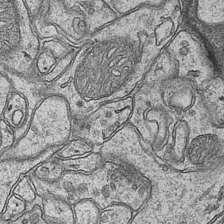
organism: Mouse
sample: CA1 Hippocampus